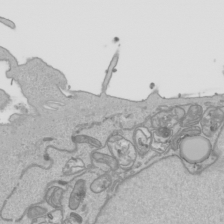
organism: Human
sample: Mitochondria in HCT116 cells